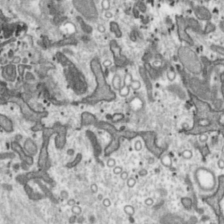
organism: Toxoplasma gondii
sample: Parasites in a vacuole inside a host cell